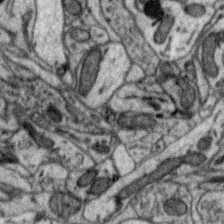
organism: Zebra finch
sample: Brain